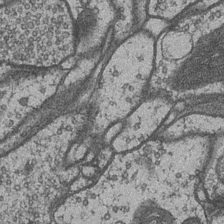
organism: Drosophila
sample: Optic medulla